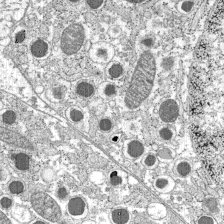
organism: C57BL Mouse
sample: Pancreatic islet